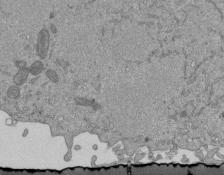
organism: Mouse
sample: ED-1 cell nuclei; centrioles